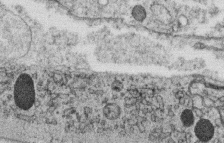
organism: C. elegans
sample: C. elegans oocyte; sperm cells